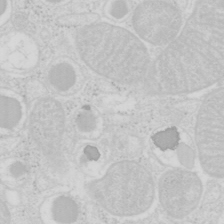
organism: Mouse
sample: Pancreas